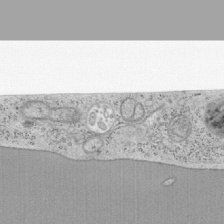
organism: Human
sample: HeLa cells